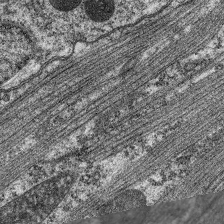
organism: C. elegans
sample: Pharynx